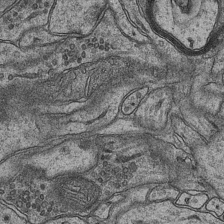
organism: Mouse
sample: CA1 Hippocampus